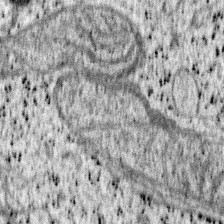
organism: Human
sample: HeLa cells